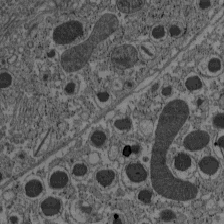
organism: C57BL Mouse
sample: Pancreatic islet